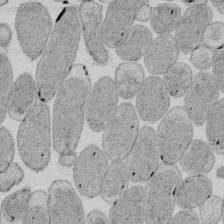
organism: E. coli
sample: Bacterial nucleoid